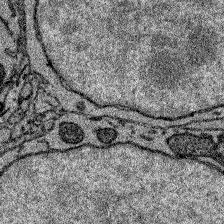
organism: Zebrafish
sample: Larval olfactory bulb